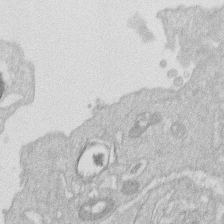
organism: Human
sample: Macrophage cells